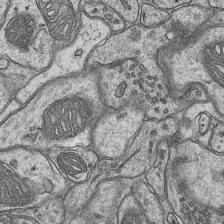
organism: Mouse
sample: CA1 Hippocampus